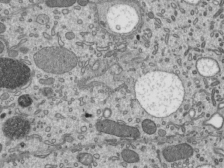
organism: Mouse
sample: Mouse epididymis efferent ductule cilia